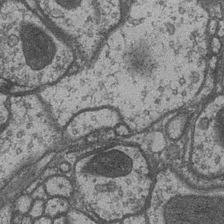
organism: Drosophila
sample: Optic medulla